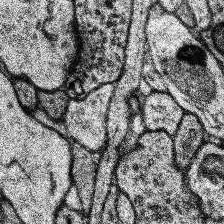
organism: Human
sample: Temporal Lobe